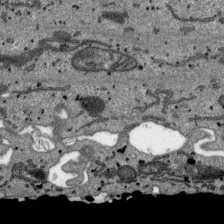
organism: Human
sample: Lung epithelial cells, uninfected (mock) control